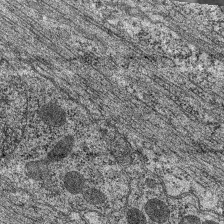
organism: C. elegans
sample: Pharynx